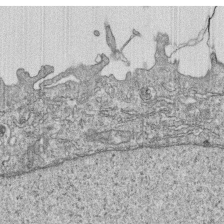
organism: Human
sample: HeLa cell HIV synapse